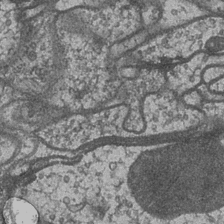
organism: Drosophila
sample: Optic medulla